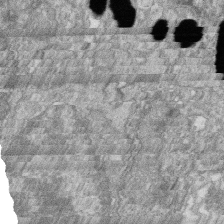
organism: Zebrafish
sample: Cilia; retinal pigment epithelium